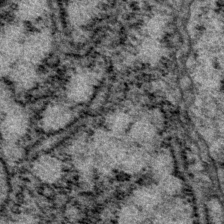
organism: P. pacificus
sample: Pharynx